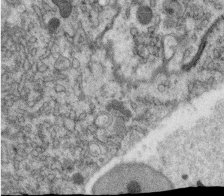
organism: C. elegans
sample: C. elegans oocyte; sperm cells